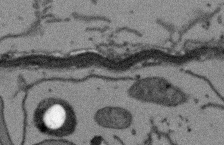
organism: Arabidopsis thaliana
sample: Root tip